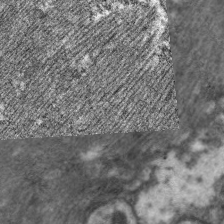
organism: C. elegans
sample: Pharynx